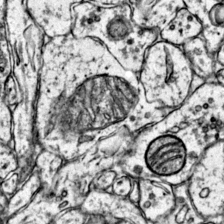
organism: Mouse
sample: Primary visual cortex